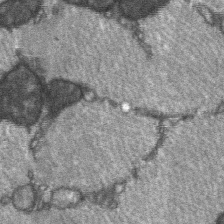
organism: C57BL Mouse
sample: Soleus